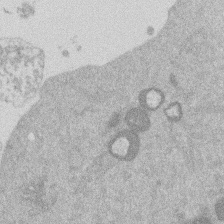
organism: Mouse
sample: Dividing mouse embryo 1 cell stage